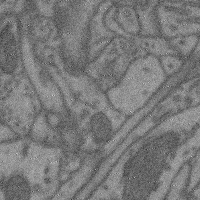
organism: Mouse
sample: Cerebral cortex